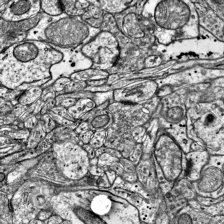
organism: Mouse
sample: Visual Cortex